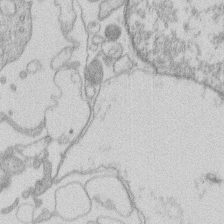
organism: Human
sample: Macrophage cells